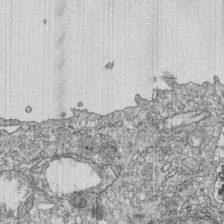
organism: Human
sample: HeLa cell HIV synapse